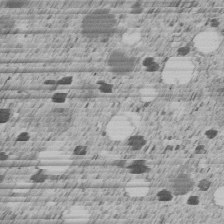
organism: C. elegans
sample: C. elegans embryo early stage